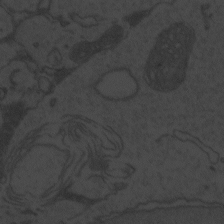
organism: Zebrafish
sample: Macrophage infected with Toxoplasma gondii